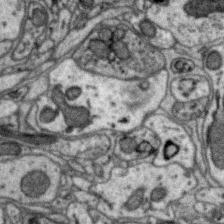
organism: Zebra finch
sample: Brain